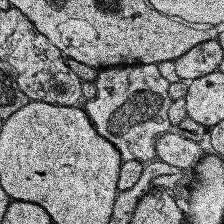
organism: Human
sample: Temporal Lobe